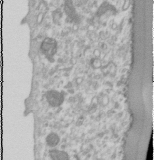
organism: Human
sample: Cilia; basal body in RPE cells